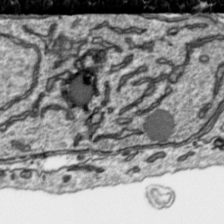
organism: Toxoplasma gondii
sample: Parasites in a vacuole inside a host cell